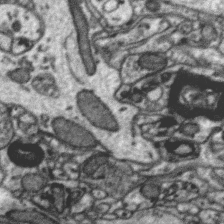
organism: Zebra finch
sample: Brain